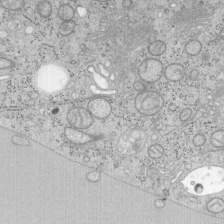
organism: Mouse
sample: OT-I killer T cells with ID8 ovarian cancer cells